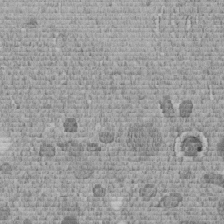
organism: C. elegans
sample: C. elegans embryo early stage